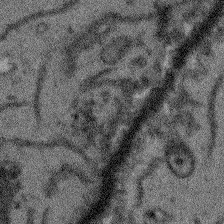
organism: Arabidopsis thaliana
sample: Root tip